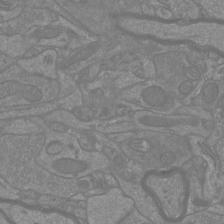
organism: Mouse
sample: Cortical neurons